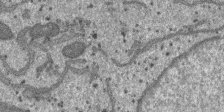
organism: Human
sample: Lung epithelial cells infected with SARS-CoV-2